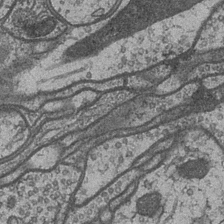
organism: Drosophila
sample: Optic medulla